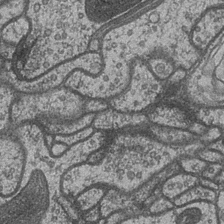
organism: Drosophila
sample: Optic medulla